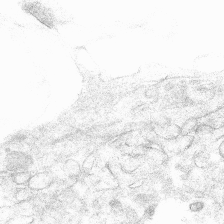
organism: Mouse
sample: Mouse hepatocytes